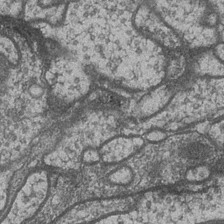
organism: Drosophila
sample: Optic medulla